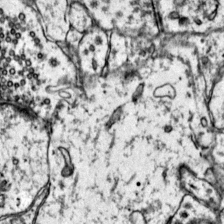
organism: Mouse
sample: Primary visual cortex